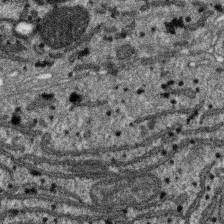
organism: Human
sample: Lung epithelial cells infected with SARS-CoV-2